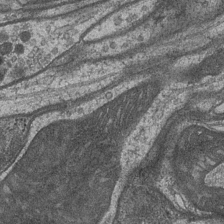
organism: Drosophila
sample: Optic medulla